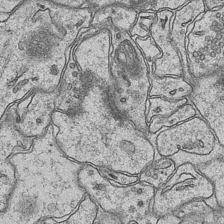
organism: Mouse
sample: CA1 Hippocampus